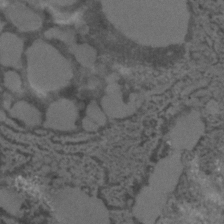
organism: C. elegans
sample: C. elegans embryo